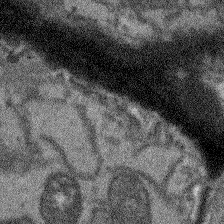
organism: Arabidopsis thaliana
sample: Root tip